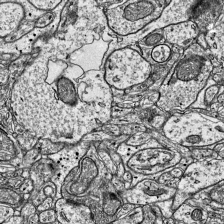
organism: Mouse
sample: Visual Cortex